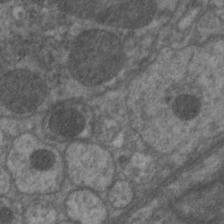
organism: C. elegans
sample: Pharynx